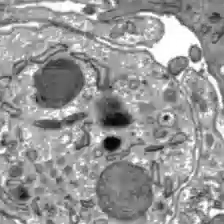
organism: C57BL Mouse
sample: Liver